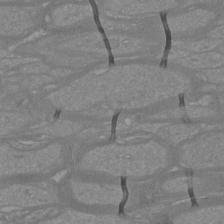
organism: Mouse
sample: Cortical neurons